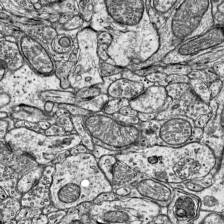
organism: Mouse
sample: Visual Cortex